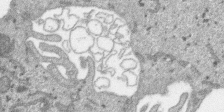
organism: Human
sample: Lung epithelial cells infected with SARS-CoV-2